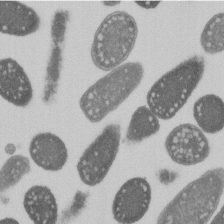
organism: E. coli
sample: Bacterial nucleoid